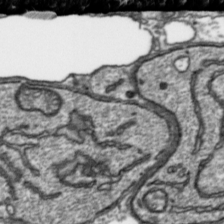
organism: Toxoplasma gondii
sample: Parasites in a vacuole inside a host cell